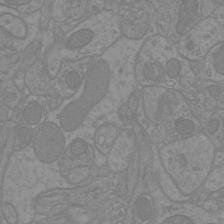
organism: Mouse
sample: Cortical neurons